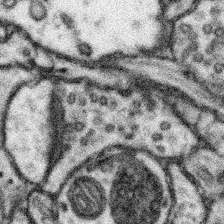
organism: Mouse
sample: Somatosensory cortex neuropil